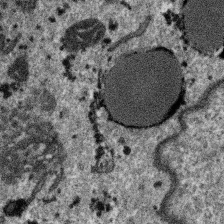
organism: Human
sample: Lung epithelial cells infected with SARS-CoV-2